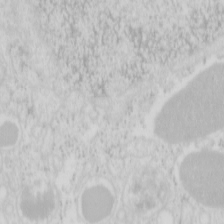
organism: Mouse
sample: Pancreas